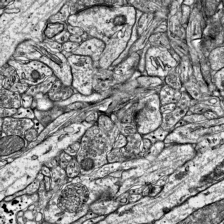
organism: Mouse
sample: Visual Cortex